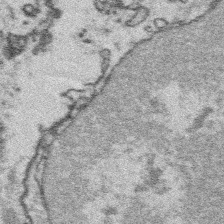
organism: Platynereis dumerilii